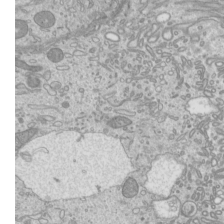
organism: Mouse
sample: Cilia; mouse epididymis